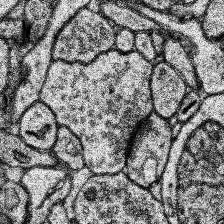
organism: Human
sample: Temporal Lobe